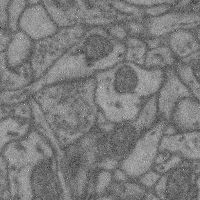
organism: Mouse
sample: Cerebral cortex